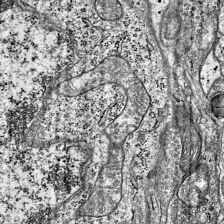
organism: Mouse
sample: Visual Cortex